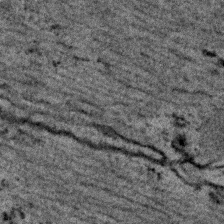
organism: C. elegans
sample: C. elegans embryo